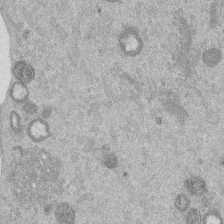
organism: Mouse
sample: Dividing mouse embryo 1 cell stage